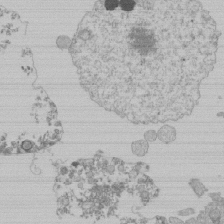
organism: Mouse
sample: Activated Pmel transgenic CD8+ T Cells